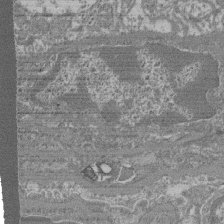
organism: Mouse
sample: Glomerulus